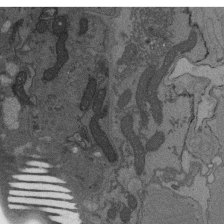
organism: C. elegans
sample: AFD neurons C. elegans